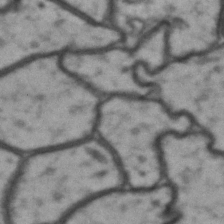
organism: Drosophila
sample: Brain